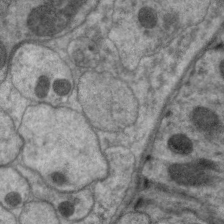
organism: C. elegans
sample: Pharynx